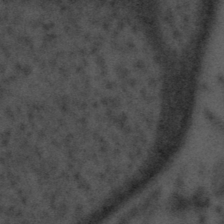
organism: Tuwongella immobilis